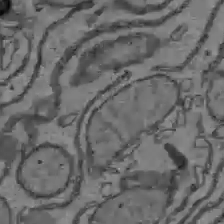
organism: C57BL Mouse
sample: Liver